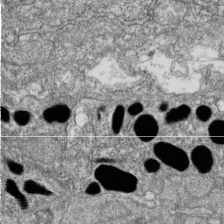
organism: Zebrafish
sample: Cilia; retinal pigment epithelium